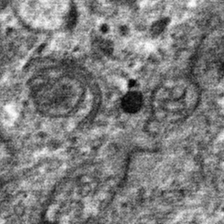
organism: Mouse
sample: Mouse hepatocytes